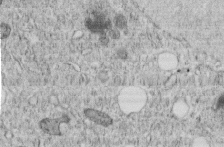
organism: C. elegans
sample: C. elegans embryo early stage